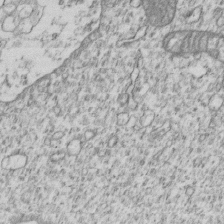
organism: Human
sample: MDA-MB-231 cells